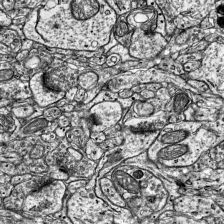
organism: Mouse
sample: Visual Cortex